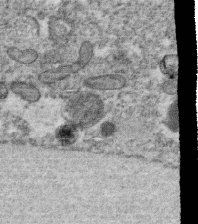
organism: C. elegans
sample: C. elegans oocyte; sperm cells